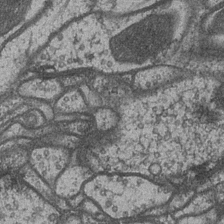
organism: Drosophila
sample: Optic medulla